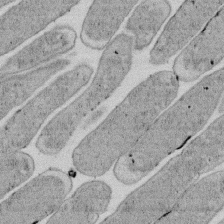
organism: E. coli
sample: Bacterial nucleoid